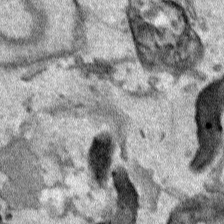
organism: Human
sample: Mitochondria in HCT116 cells